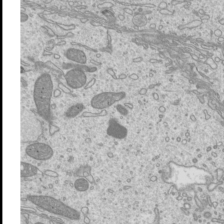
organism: Mouse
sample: Cilia; mouse epididymis